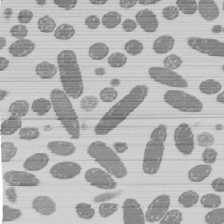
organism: E. coli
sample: Bacterial nucleoid